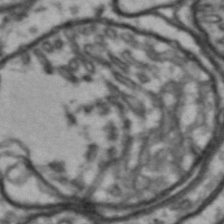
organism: Drosophila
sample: Brain